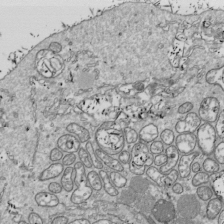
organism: Drosophila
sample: Cell division; meiosis; drosophila spermatocytes